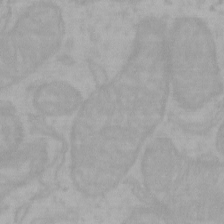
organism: Mouse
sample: Choroid plexus